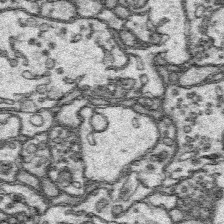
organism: Platynereis dumerilii